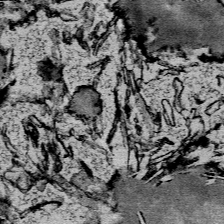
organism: Mouse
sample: Mouse Salivary gland